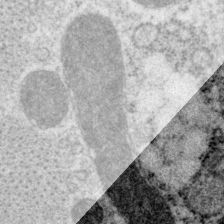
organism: P. pacificus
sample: Pharynx